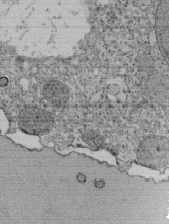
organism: Tetrahymena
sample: Cilia in tetrahymena